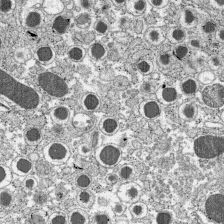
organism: C57BL Mouse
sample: Pancreatic islet